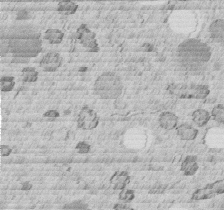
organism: C. elegans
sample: C. elegans embryo early stage